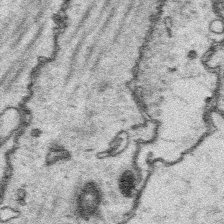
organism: Platynereis dumerilii